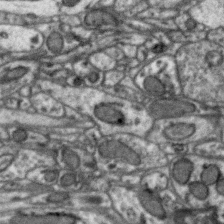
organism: Zebra finch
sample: Brain